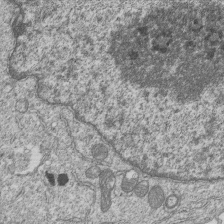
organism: Human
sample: MDA-MB-231 cells